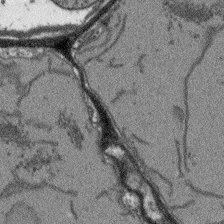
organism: Arabidopsis thaliana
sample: Root tip